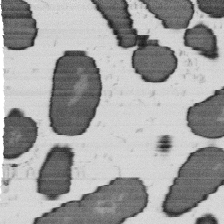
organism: B. subtilis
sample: Bacterial spore